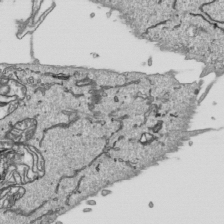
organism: Human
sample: Mitochondria in HCT116 cells